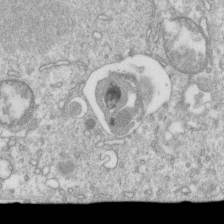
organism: Mouse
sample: Activated OT-1 CD8+ T cells